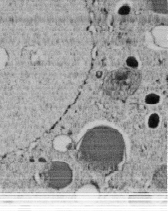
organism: C. elegans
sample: C. elegans embryo early stage